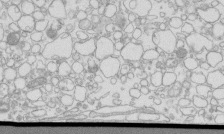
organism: Mouse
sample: Macrophages